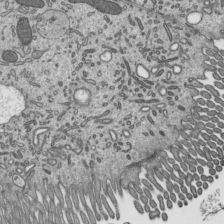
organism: Mouse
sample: Mouse epididymis efferent ductule cilia